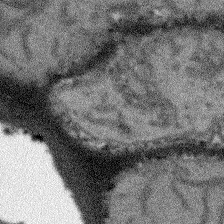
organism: Arabidopsis thaliana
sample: Root tip